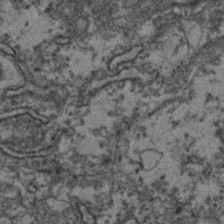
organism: Zebrafish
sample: Zebrafish embryo